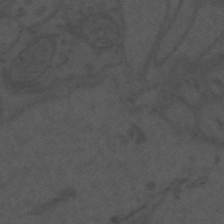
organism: Mouse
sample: Suprachiasmatic nucleus